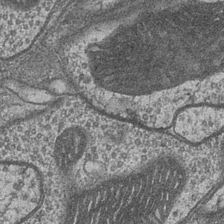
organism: Drosophila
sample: Optic medulla